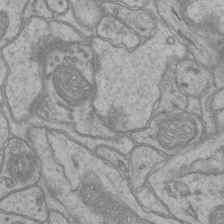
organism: Mouse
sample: CA1 Hippocampus